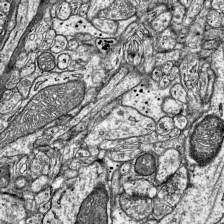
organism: Mouse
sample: Visual Cortex